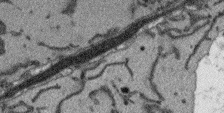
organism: Arabidopsis thaliana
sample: Root tip